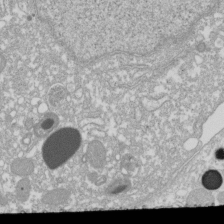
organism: Xenopus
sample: Cilia; centrioles in frog embryo cells